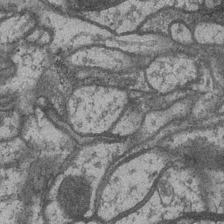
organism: Drosophila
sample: Optic medulla